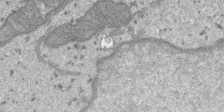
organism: Human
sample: Lung epithelial cells infected with SARS-CoV-2